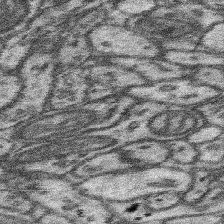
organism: Mouse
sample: Somatosensory cortex neuropil